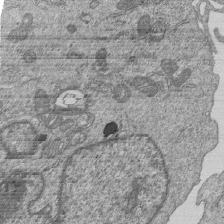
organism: Human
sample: MDA-MB-231 cells